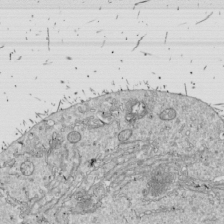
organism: Drosophila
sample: Cell division; meiosis; drosophila spermatocytes